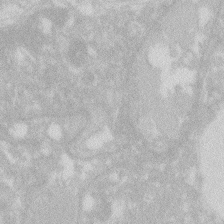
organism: Zebrafish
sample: Macrophage